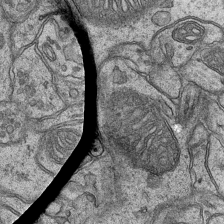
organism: Mouse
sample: CA1 Hippocampus